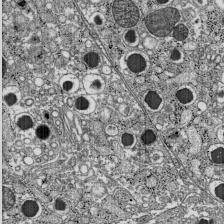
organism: C57BL Mouse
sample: Pancreatic islet